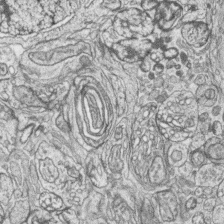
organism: Zebrafish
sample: synaptic ribbons in rod cells and cone cells